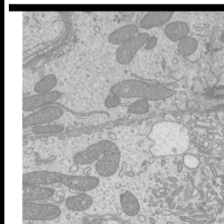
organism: Mouse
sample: Cilia; mouse epididymis